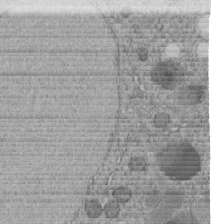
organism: C. elegans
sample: C. elegans embryo early stage